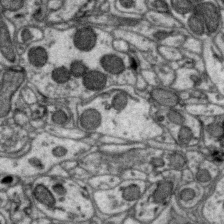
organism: Zebra finch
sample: Brain